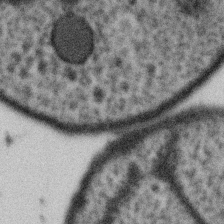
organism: Gemmata obscuriglobus